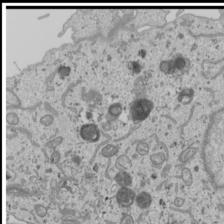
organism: Human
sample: Mitochondria in U2OS cells